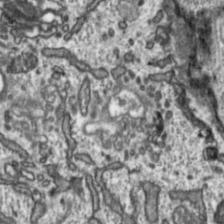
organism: Toxoplasma gondii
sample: Parasites in a vacuole inside a host cell